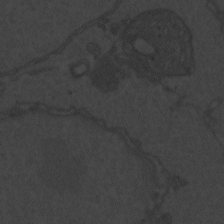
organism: Zebrafish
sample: Macrophage infected with Toxoplasma gondii